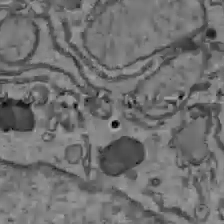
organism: C57BL Mouse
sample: Liver